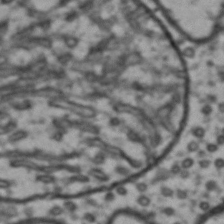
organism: Drosophila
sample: Brain